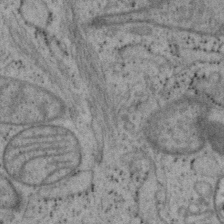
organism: Human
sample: HeLa cells